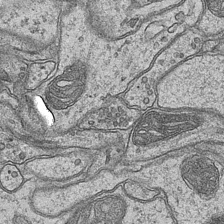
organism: Mouse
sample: CA1 Hippocampus